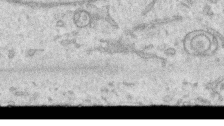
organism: Human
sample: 1205lu cells